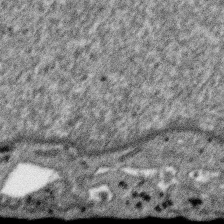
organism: Human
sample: Lung epithelial cells infected with SARS-CoV-2